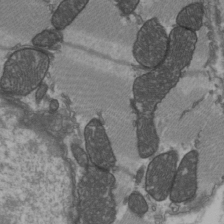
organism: C57BL Mouse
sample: Heart